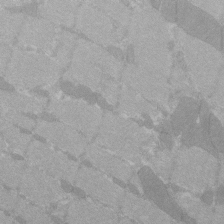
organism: C57BL Mouse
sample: Tibialis anterior muscle cell